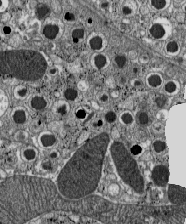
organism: C57BL Mouse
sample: Pancreatic islet